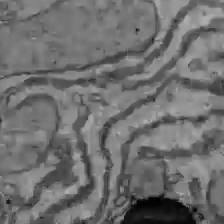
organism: C57BL Mouse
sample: Liver